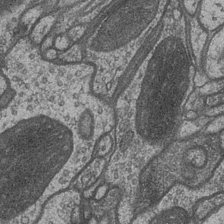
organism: Drosophila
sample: Optic medulla